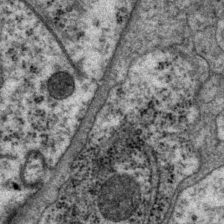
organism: P. pacificus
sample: Pharynx